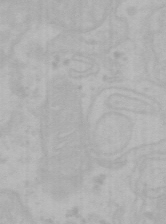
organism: Mouse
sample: Choroid plexus